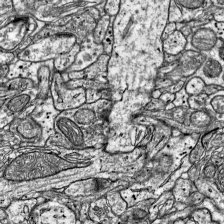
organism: Mouse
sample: Visual Cortex